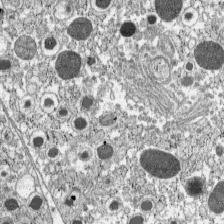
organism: C57BL Mouse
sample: Pancreatic islet